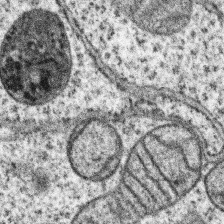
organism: Human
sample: HeLa cells